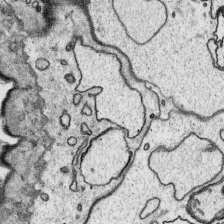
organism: Platynereis dumerilii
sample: Parapodia